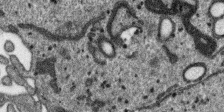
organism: Human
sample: Lung epithelial cells infected with SARS-CoV-2